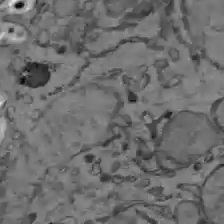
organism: C57BL Mouse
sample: Liver